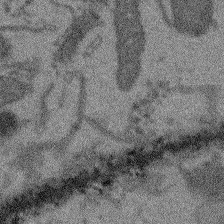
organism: Arabidopsis thaliana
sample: Root tip